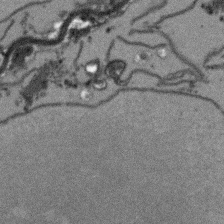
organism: Arabidopsis thaliana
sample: Root tip